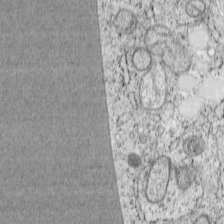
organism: African green monkey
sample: COS-7 cells